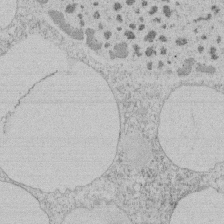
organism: Tetrahymena